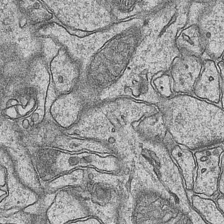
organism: Mouse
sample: CA1 Hippocampus